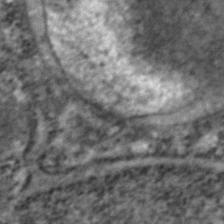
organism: Zebrafish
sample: Zebrafish embryo